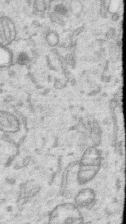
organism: Human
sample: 1205lu cells